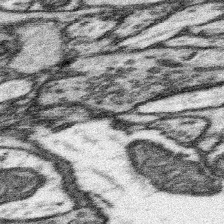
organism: Mouse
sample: Somatosensory cortex neuropil